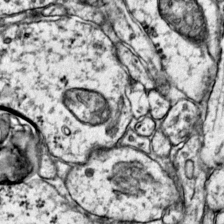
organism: Mouse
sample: Primary visual cortex